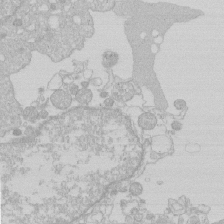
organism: Human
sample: Macrophage cells